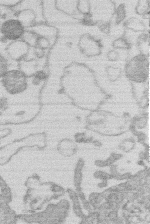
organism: Human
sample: Macrophage cells